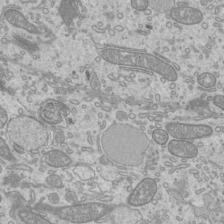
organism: Mouse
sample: Cilia; mouse epididymis